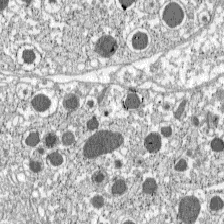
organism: C57BL Mouse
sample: Pancreatic islet